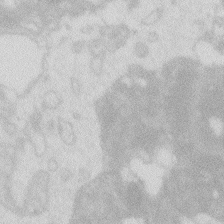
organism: Zebrafish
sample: Macrophage